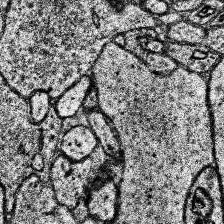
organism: Human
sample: Temporal Lobe